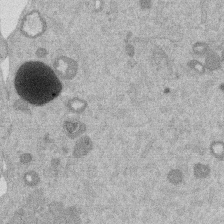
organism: Mouse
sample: Dividing mouse embryo 1 cell stage